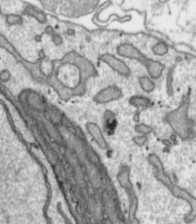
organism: Toxoplasma gondii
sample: Parasites in a vacuole inside a host cell